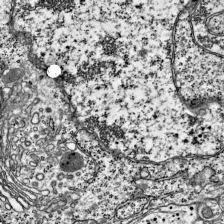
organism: Mouse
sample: Visual Cortex